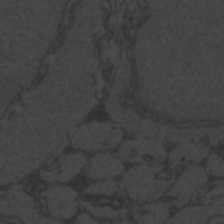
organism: Zebrafish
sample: Macrophage infected with Toxoplasma gondii